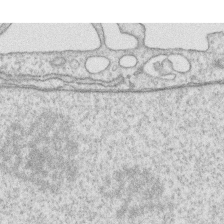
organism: Human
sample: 1205lu cells